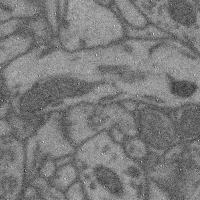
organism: Mouse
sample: Cerebral cortex